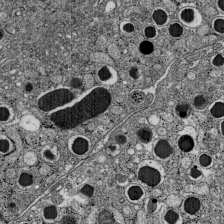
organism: C57BL Mouse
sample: Pancreatic islet